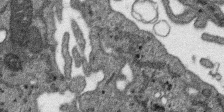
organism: Human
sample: Lung epithelial cells infected with SARS-CoV-2